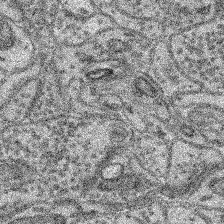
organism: Mouse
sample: Retina